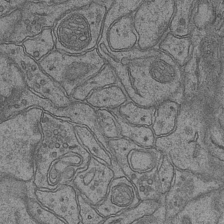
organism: Mouse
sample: CA1 Hippocampus